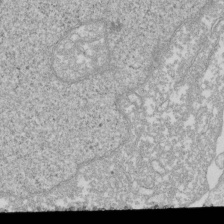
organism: Xenopus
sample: Cilia; centrioles in frog embryo cells